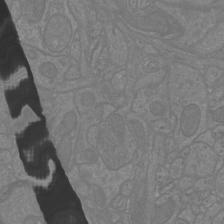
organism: Mouse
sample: Cortical neurons